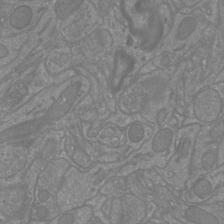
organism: Mouse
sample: Cortical neurons